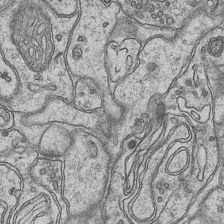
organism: Mouse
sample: CA1 Hippocampus